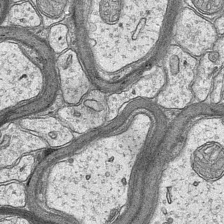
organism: Mouse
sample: CA1 Hippocampus